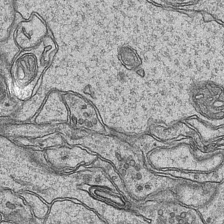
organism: Mouse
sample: CA1 Hippocampus